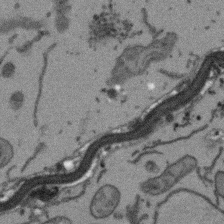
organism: Arabidopsis thaliana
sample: Root tip